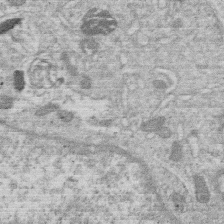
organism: Human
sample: Macrophage cells